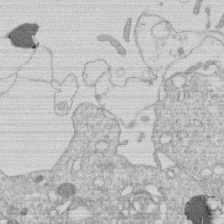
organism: Human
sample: Macrophage cells